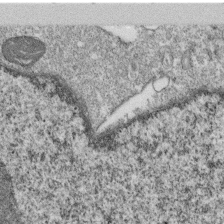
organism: African green monkey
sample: Vero E6 cells infected with SARS-CoV-2